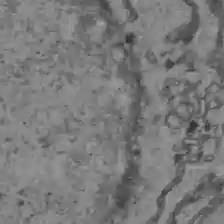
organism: C57BL Mouse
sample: Liver